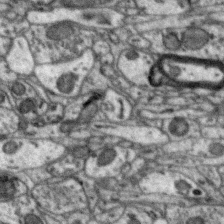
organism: Zebra finch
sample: Brain